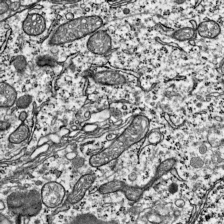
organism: Mouse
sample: Visual Cortex